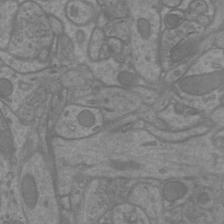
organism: Mouse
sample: Cortical neurons